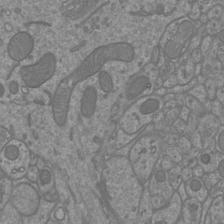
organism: Mouse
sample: Cortical neurons